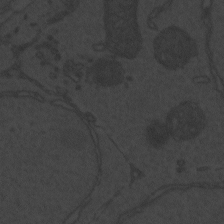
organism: Zebrafish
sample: Macrophage infected with Toxoplasma gondii